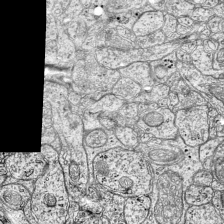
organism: Mouse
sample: Visual Cortex